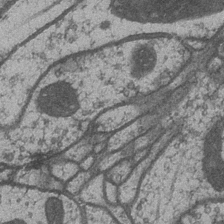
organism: Drosophila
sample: Optic medulla